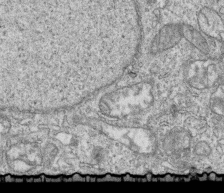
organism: Human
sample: HeLa cell HIV synapse